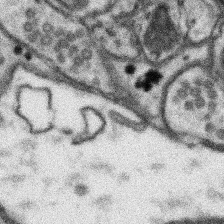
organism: Mouse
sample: Somatosensory cortex neuropil